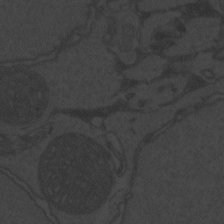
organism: Zebrafish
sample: Macrophage infected with Toxoplasma gondii